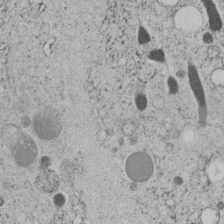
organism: C. elegans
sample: C. elegans embryo early stage